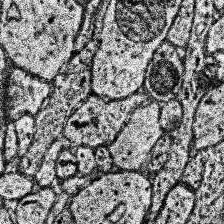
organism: Human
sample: Temporal Lobe